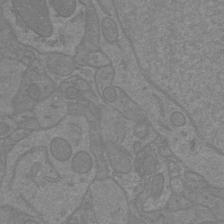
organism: Mouse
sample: Cortical neurons